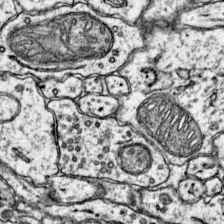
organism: Mouse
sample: Primary visual cortex